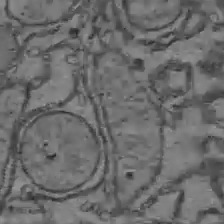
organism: C57BL Mouse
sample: Liver